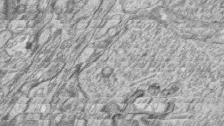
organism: Zebrafish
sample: synaptic ribbons in rod cells and cone cells